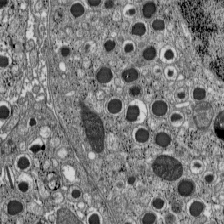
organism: C57BL Mouse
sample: Pancreatic islet